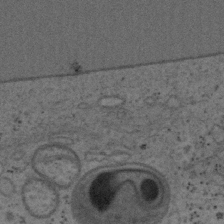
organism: Human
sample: HeLa cells